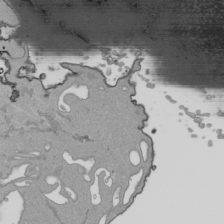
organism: Human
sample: Mitochondria in HCT116 cells